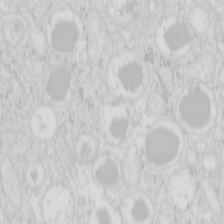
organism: Mouse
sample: Pancreas